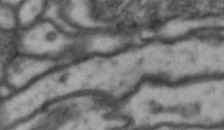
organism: Drosophila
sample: Brain